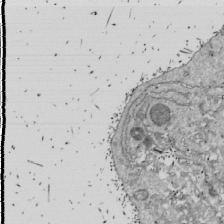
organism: Drosophila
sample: Cell division; meiosis; drosophila spermatocytes